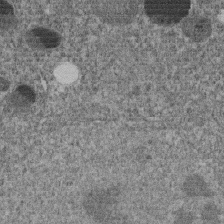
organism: C. elegans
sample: C. elegans embryo early stage